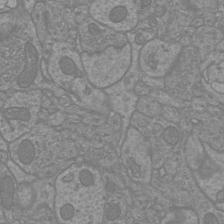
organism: Mouse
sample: Cortical neurons